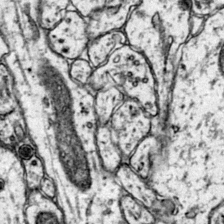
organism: Mouse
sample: Primary visual cortex